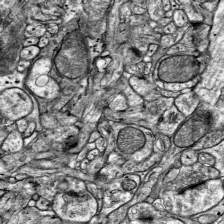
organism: Mouse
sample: Visual Cortex